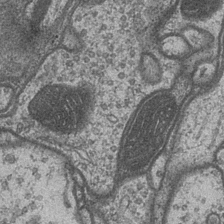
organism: Drosophila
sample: Optic medulla